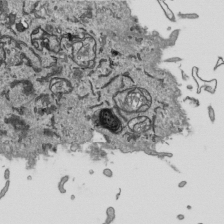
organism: Human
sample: Mitochondria in HCT116 cells